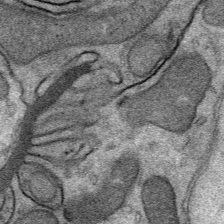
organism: Mouse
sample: Mouse Salivary gland